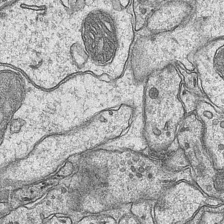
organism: Mouse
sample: CA1 Hippocampus